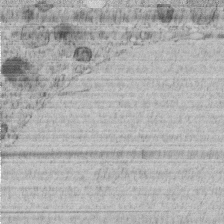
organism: C. elegans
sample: C. elegans embryo early stage